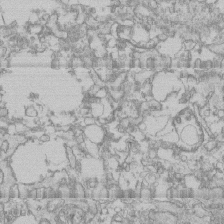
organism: Human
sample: CRL-1474